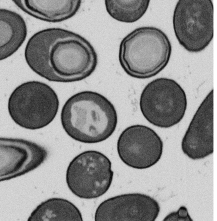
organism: B. subtilis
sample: Bacterial spore